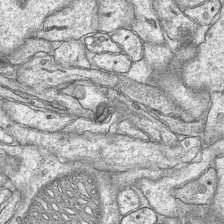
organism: Mouse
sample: CA1 Hippocampus